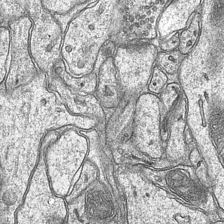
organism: Mouse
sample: CA1 Hippocampus